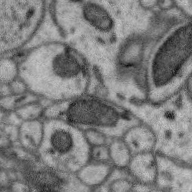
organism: Zebra finch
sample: Brain